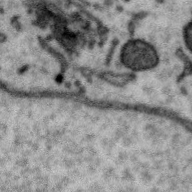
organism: Zebra finch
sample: Brain